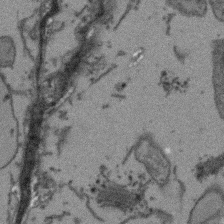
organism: Arabidopsis thaliana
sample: Root tip